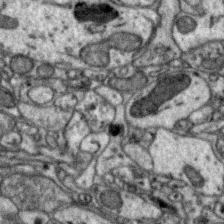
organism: Zebra finch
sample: Brain